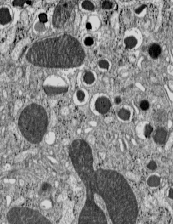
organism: C57BL Mouse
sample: Pancreatic islet